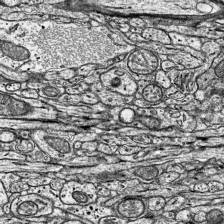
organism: Mouse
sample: Visual Cortex